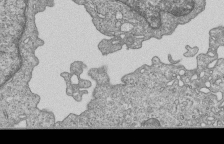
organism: Human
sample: MDA-MB-231 cells